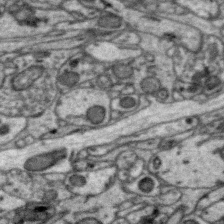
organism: Zebra finch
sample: Brain